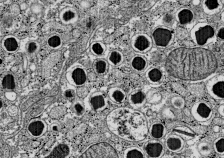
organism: C57BL Mouse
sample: Pancreatic islet